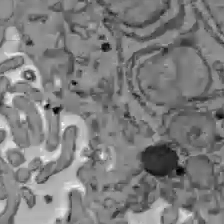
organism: C57BL Mouse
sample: Liver